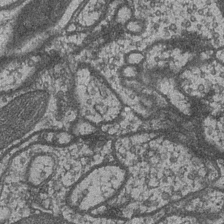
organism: Drosophila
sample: Optic medulla